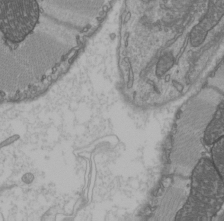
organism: C57BL Mouse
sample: Heart